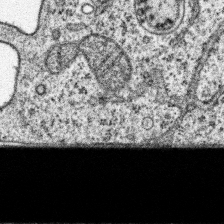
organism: Human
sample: HeLa cells